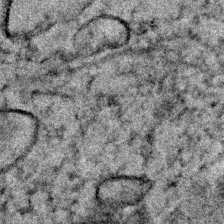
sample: Trachea